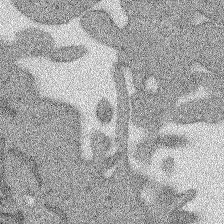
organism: Human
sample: HeLa cells